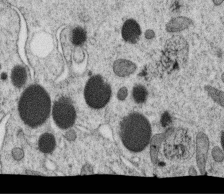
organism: C. elegans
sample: C. elegans oocyte; sperm cells